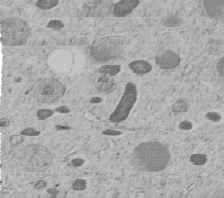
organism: C. elegans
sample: C. elegans embryo early stage